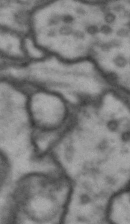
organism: Drosophila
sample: Brain